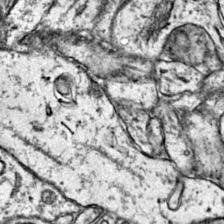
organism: Mouse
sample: Primary visual cortex